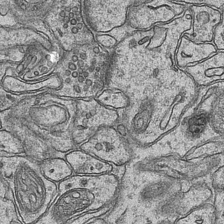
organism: Mouse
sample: CA1 Hippocampus